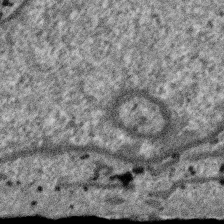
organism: Human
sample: Lung epithelial cells infected with SARS-CoV-2